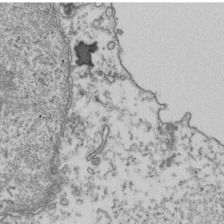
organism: Human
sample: Activated Jurkat CD4+ T cells